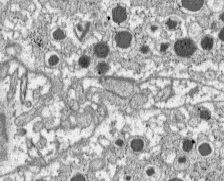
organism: C57BL Mouse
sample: Pancreatic islet